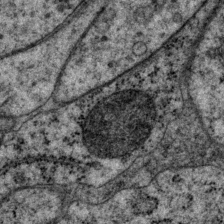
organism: P. pacificus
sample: Pharynx